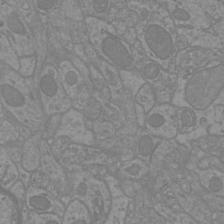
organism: Mouse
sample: Cortical neurons